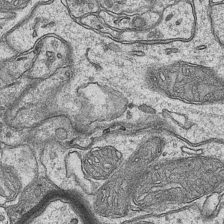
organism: Mouse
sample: CA1 Hippocampus